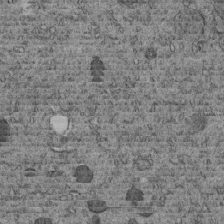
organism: C. elegans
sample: C. elegans embryo early stage